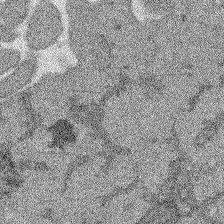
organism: Human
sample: HeLa cells